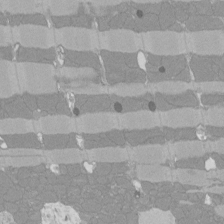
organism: Rat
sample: Left ventricle